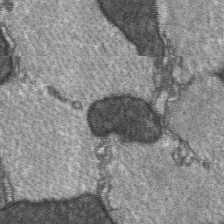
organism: C57BL Mouse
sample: Soleus